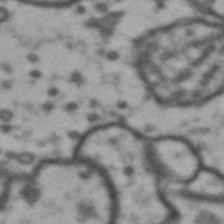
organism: Drosophila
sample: Brain